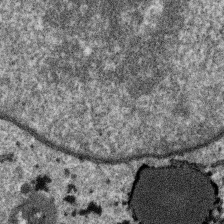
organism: Human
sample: Lung epithelial cells infected with SARS-CoV-2